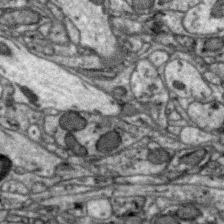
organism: Zebra finch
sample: Brain